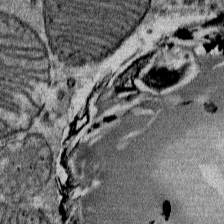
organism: Mouse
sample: Mouse Salivary gland